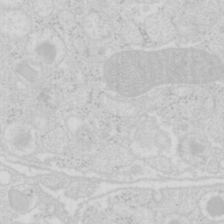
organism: Mouse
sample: Pancreas